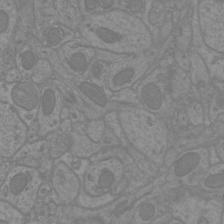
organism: Mouse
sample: Cortical neurons